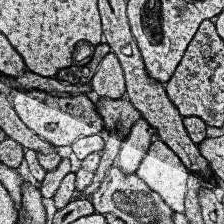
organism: Human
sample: Temporal Lobe